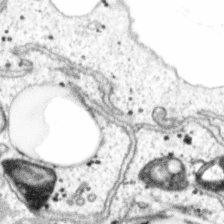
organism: Human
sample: HeLa cells